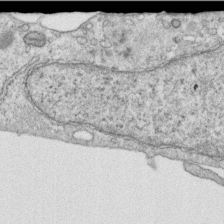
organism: Human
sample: Centriole in RPE cells